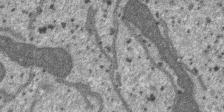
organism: Human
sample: Lung epithelial cells infected with SARS-CoV-2